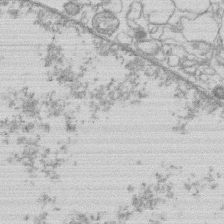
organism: Human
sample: Macrophage cells